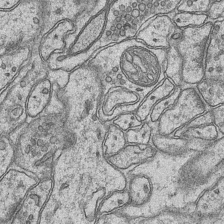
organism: Mouse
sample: CA1 Hippocampus